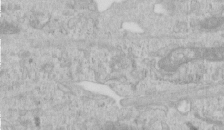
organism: Human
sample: Centriole in RPE cells